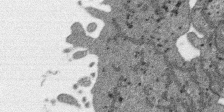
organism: Human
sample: Lung epithelial cells infected with SARS-CoV-2